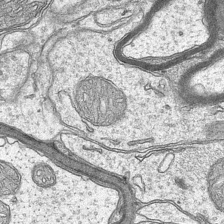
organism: Mouse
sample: CA1 Hippocampus